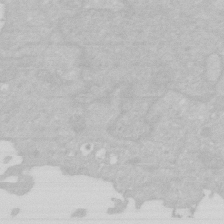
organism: Human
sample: HIV infected U937 cells